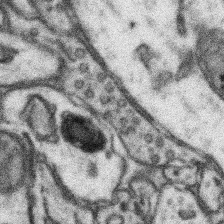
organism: Mouse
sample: Somatosensory cortex neuropil